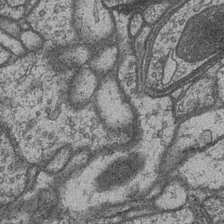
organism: Drosophila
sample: Optic medulla